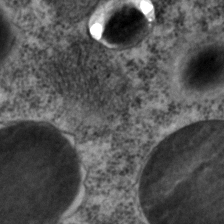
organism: C. elegans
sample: C. elegans embryo